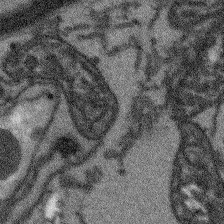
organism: Arabidopsis thaliana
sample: Root tip